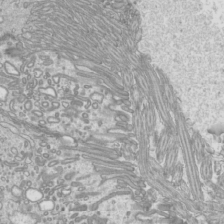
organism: Mouse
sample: Cilia; mouse epididymis